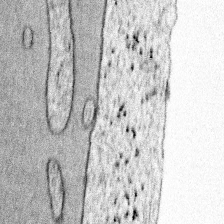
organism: Human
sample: HeLa cells